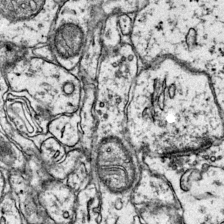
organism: Mouse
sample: Primary visual cortex